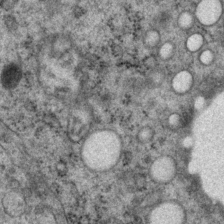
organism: P. pacificus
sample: Pharynx